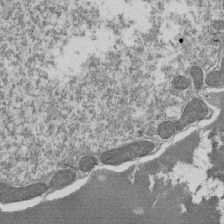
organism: Tetrahymena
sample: Cilia in tetrahymena